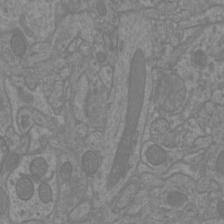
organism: Mouse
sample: Cortical neurons